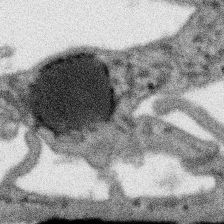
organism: Human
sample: Lung epithelial cells infected with SARS-CoV-2